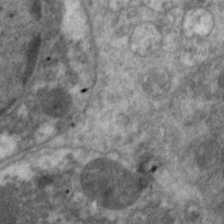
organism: C. elegans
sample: Pharynx